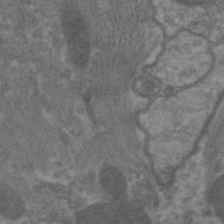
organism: C. elegans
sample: Pharynx